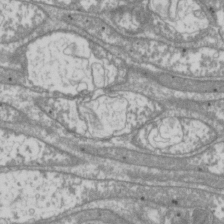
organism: Drosophila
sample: Cell division; meiosis; drosophila spermatocytes